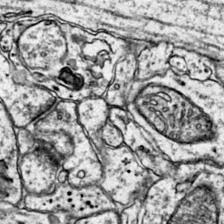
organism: Mouse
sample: Primary visual cortex